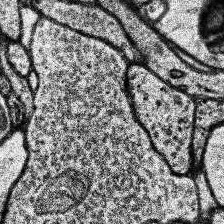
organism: Human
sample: Temporal Lobe